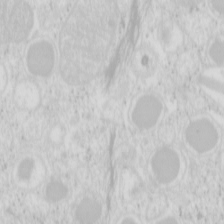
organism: Mouse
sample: Pancreas